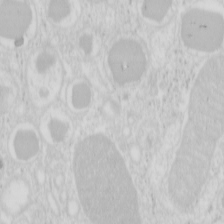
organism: Mouse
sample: Pancreas